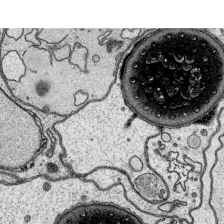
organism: Platynereis dumerilii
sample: Parapodia